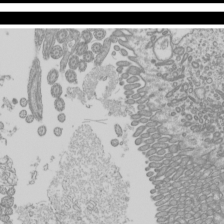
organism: Mouse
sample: Cilia; mouse epididymis